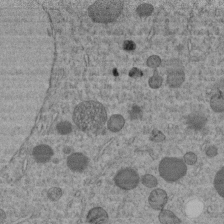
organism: C. elegans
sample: C. elegans embryo early stage